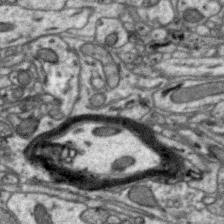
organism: Zebra finch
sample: Brain